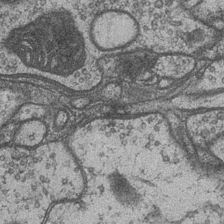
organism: Drosophila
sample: Optic medulla